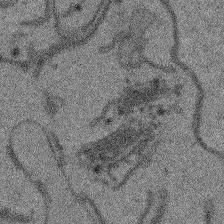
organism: Arabidopsis thaliana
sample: Root tip